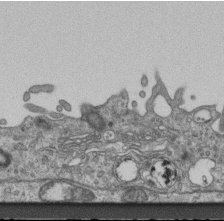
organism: Mouse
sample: Centriole in ependymal cells